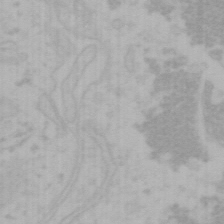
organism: Mouse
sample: Choroid plexus